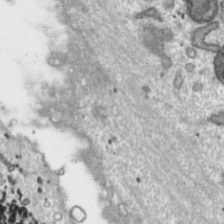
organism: Toxoplasma gondii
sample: Parasites in a vacuole inside a host cell